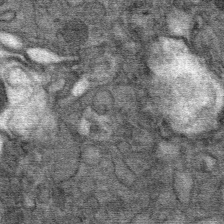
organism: Mouse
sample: Mouse Salivary gland